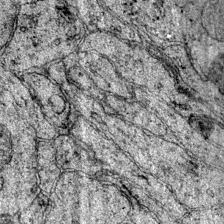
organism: Mouse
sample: Primary visual cortex